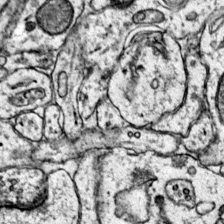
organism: Mouse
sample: Primary visual cortex